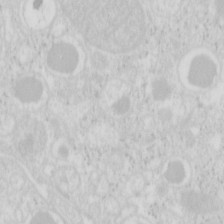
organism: Mouse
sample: Pancreas